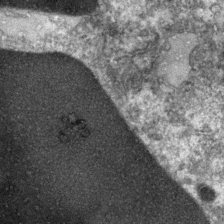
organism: Zebrafish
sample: Zebrafish embryo